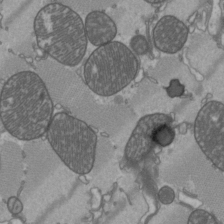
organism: C57BL Mouse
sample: Heart